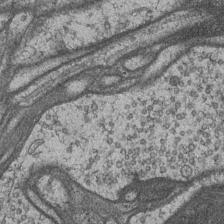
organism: Drosophila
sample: Optic medulla